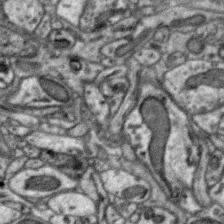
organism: Zebra finch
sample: Brain